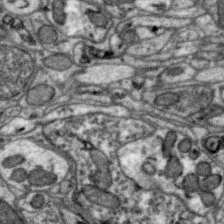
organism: Zebra finch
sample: Brain